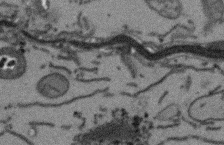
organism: Arabidopsis thaliana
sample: Root tip